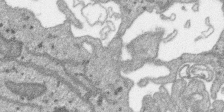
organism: Human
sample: Lung epithelial cells infected with SARS-CoV-2